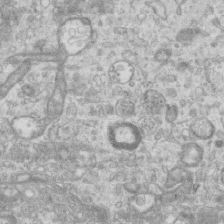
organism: Mouse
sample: Centriole in ependymal cells